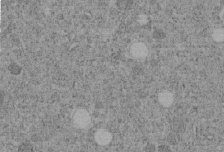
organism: C. elegans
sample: C. elegans embryo early stage